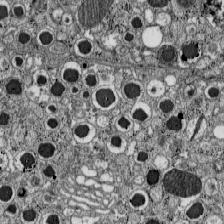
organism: C57BL Mouse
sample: Pancreatic islet